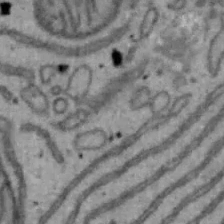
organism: Mouse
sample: Liver